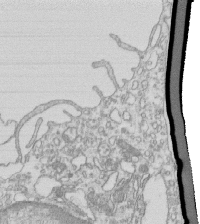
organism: Mouse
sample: Macrophages